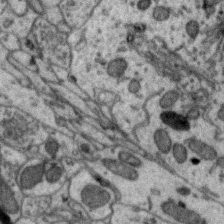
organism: Zebra finch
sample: Brain